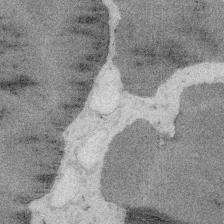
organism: Embia sp.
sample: Silk gland